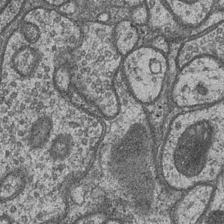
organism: Drosophila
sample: Optic medulla